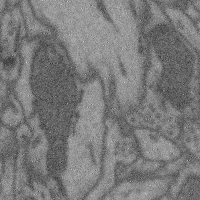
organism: Mouse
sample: Cerebral cortex